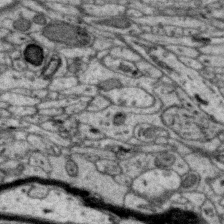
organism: Zebra finch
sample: Brain